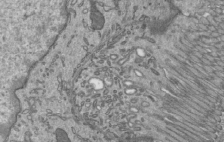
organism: Mouse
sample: Mouse epididymis efferent ductule cilia